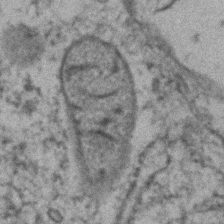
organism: Zebrafish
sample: Zebrafish embryo